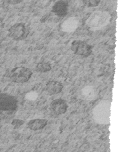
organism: C. elegans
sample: C. elegans embryo early stage